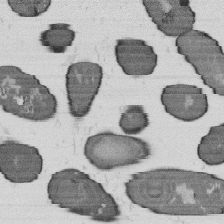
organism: B. subtilis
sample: Bacterial spore